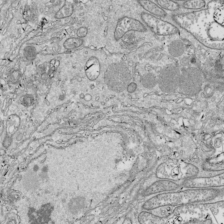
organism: Drosophila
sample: Cell division; meiosis; drosophila spermatocytes